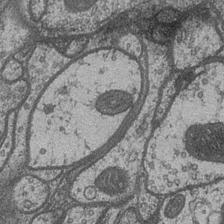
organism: Drosophila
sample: Optic medulla